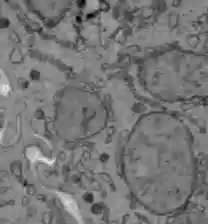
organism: C57BL Mouse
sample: Liver